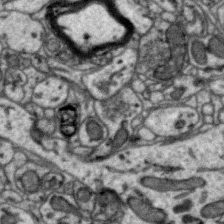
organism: Zebra finch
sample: Brain